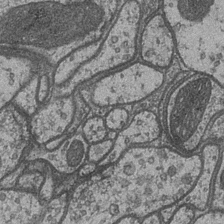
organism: Drosophila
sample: Optic medulla